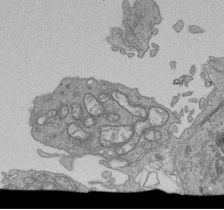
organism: Human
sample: Retinal organoid Rod and Cone cells